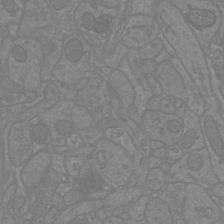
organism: Mouse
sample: Cortical neurons